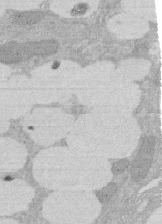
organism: Rat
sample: Salivary granule